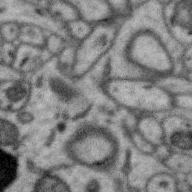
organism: Zebra finch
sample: Brain